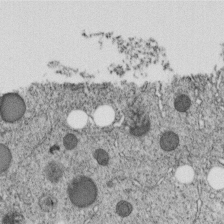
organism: C. elegans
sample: C. elegans embryo early stage